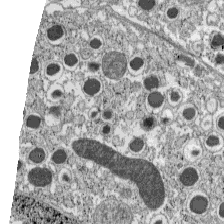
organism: C57BL Mouse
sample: Pancreatic islet